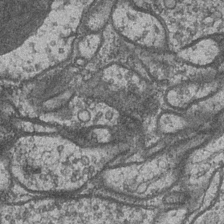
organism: Drosophila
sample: Optic medulla